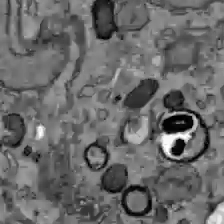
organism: C57BL Mouse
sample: Liver